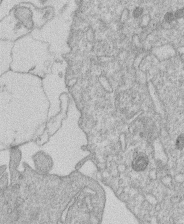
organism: Human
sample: Macrophage cells